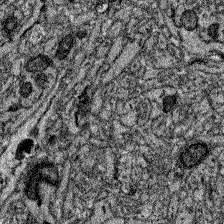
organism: Zebrafish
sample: Larval olfactory bulb